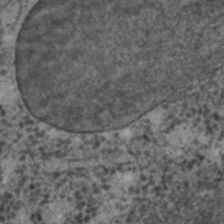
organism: C. elegans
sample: C. elegans embryo